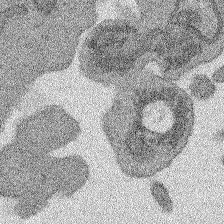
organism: Human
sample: HeLa cells